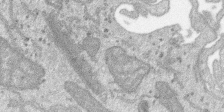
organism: Human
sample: Lung epithelial cells infected with SARS-CoV-2